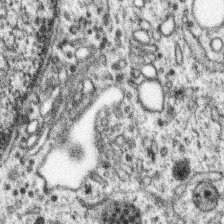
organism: Human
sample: HeLa cells